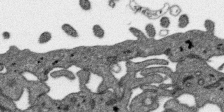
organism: Human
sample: Lung epithelial cells, uninfected (mock) control